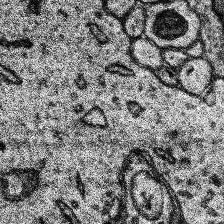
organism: Human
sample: Temporal Lobe